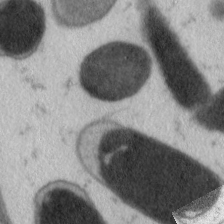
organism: C. elegans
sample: Pharynx